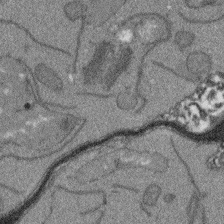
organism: Arabidopsis thaliana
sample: Root tip